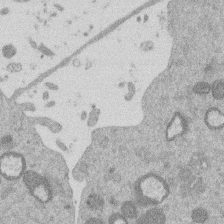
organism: Mouse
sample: Dividing mouse embryo 1 cell stage